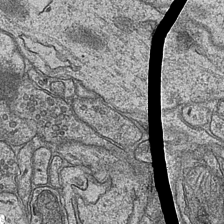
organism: Mouse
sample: CA1 Hippocampus